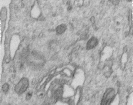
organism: Human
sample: Centriole in RPE cells